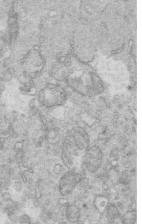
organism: Mouse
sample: Multiciliated cells